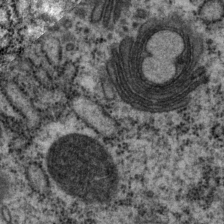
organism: P. pacificus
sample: Pharynx